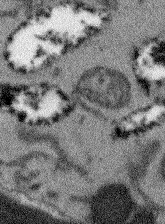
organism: Arabidopsis thaliana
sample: Root tip